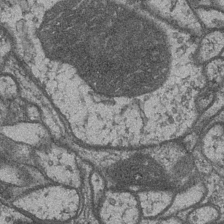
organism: Drosophila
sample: Optic medulla